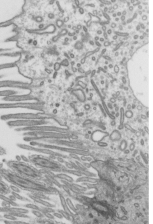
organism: Mouse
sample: Mouse epididymis efferent ductule cilia